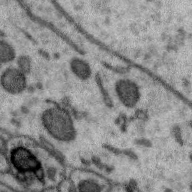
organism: Zebra finch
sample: Brain